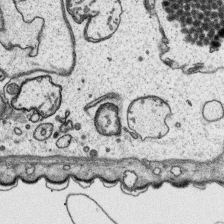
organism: Platynereis dumerilii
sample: Parapodia